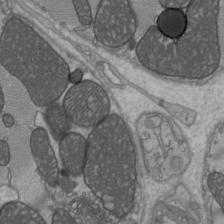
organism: C57BL Mouse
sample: Heart